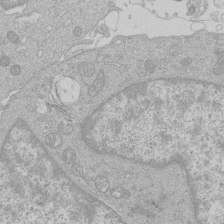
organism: Human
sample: Macrophage cells